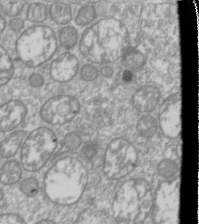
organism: Drosophila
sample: Cell division; meiosis; drosophila spermatocytes